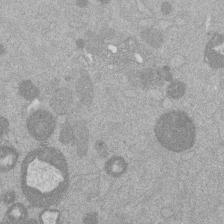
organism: Mouse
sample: Dividing mouse embryo 1 cell stage